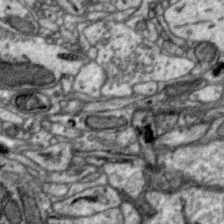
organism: Zebra finch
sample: Brain